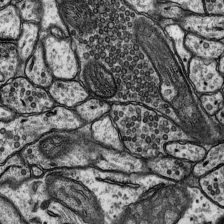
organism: Rat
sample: Hippocampus